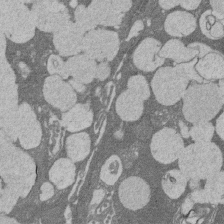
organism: Rat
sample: Salivary granule